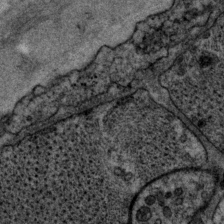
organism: P. pacificus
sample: Pharynx